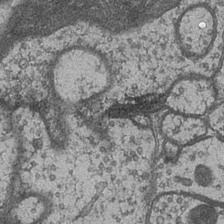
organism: Drosophila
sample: Optic medulla